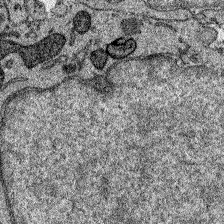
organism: Zebrafish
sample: Larval olfactory bulb